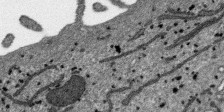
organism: Human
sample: Lung epithelial cells, uninfected (mock) control